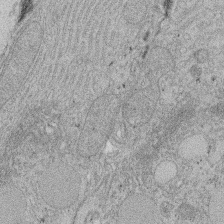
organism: Rat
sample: Salivary granule